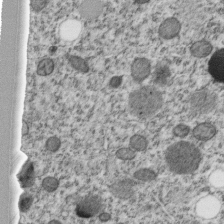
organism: C. elegans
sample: C. elegans embryo early stage